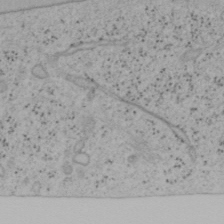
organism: Human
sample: HeLa cells